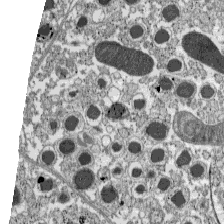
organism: C57BL Mouse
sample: Pancreatic islet